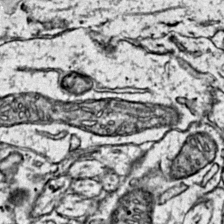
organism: Mouse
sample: Primary visual cortex